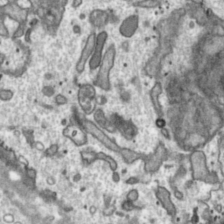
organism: Toxoplasma gondii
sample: Parasites in a vacuole inside a host cell